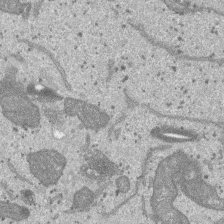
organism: Human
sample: Lung epithelial cells infected with SARS-CoV-2